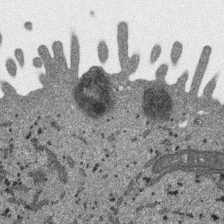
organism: Human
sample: Lung epithelial cells infected with SARS-CoV-2